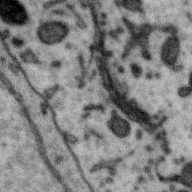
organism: Zebra finch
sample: Brain